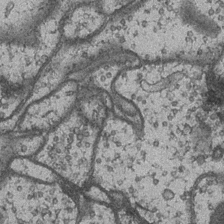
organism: Drosophila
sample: Optic medulla